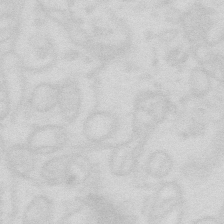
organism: Human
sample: HeLa cells